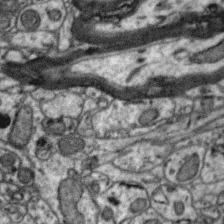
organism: Zebra finch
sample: Brain